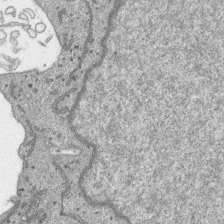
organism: Human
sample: Lung epithelial cells infected with SARS-CoV-2